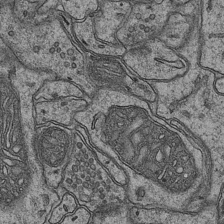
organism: Mouse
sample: CA1 Hippocampus